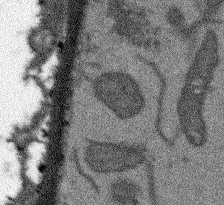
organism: Arabidopsis thaliana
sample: Root tip